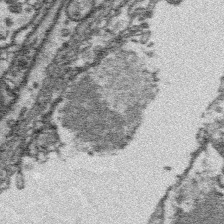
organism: Platynereis dumerilii